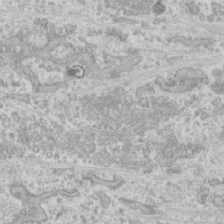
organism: Human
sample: CRL-1474